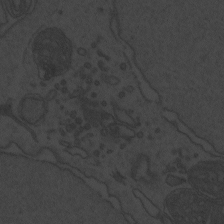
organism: Zebrafish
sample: Macrophage infected with Toxoplasma gondii